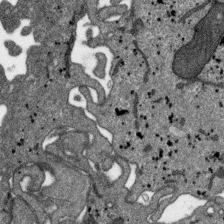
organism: Human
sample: Lung epithelial cells, uninfected (mock) control